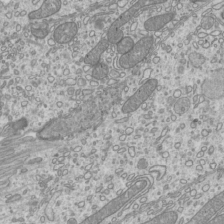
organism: Mouse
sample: Cilia; mouse epididymis